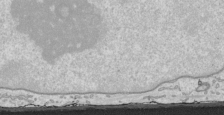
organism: Human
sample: Mitochondria in HCT116 cells